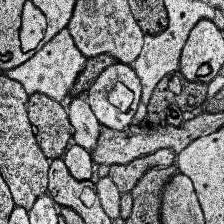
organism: Human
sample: Temporal Lobe